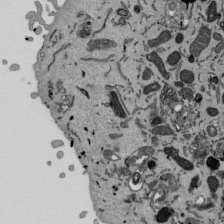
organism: Mouse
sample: ED-1 cell nuclei; centrioles